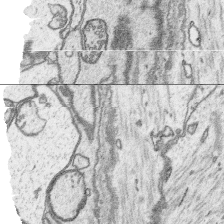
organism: Platynereis dumerilii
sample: Parapodia